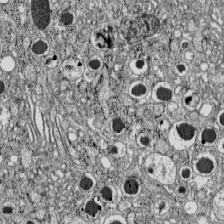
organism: C57BL Mouse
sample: Pancreatic islet